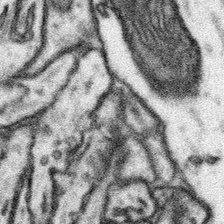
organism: Mouse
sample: Somatosensory cortex neuropil